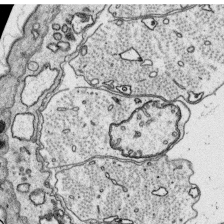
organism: Platynereis dumerilii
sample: Parapodia